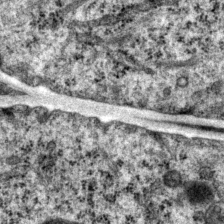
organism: P. pacificus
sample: Pharynx